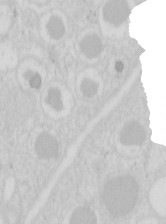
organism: Mouse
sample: Pancreas